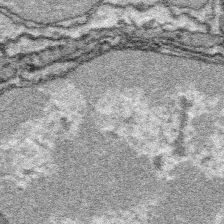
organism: Platynereis dumerilii